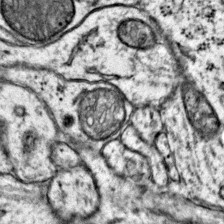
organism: Mouse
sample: Primary visual cortex